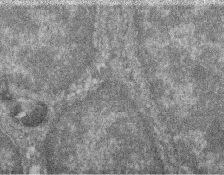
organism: Zebrafish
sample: Cilia; retinal pigment epithelium